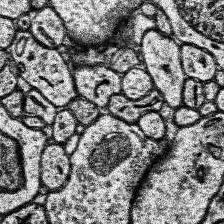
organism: Human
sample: Temporal Lobe